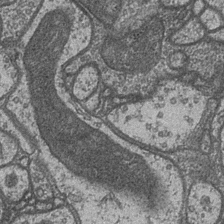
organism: Drosophila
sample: Optic medulla